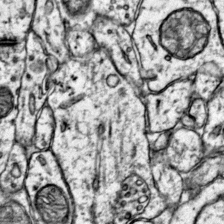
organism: Mouse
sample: Primary visual cortex